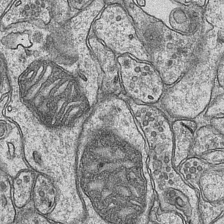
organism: Mouse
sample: CA1 Hippocampus